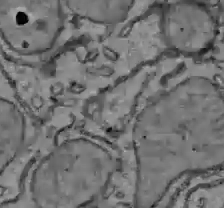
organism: C57BL Mouse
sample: Liver